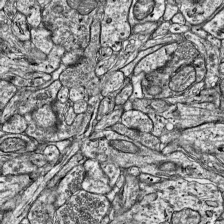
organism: Mouse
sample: Visual Cortex